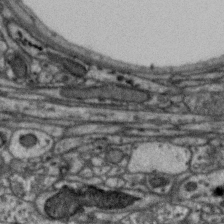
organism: Zebra finch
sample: Brain